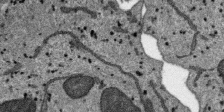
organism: Human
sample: Lung epithelial cells, uninfected (mock) control